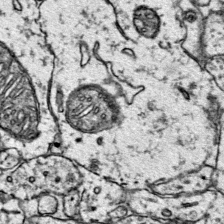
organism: Mouse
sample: Primary visual cortex